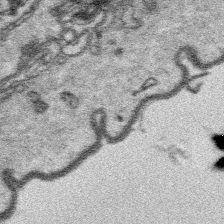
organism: Platynereis dumerilii